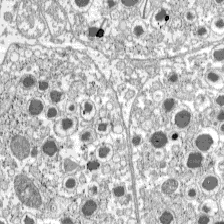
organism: C57BL Mouse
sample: Pancreatic islet